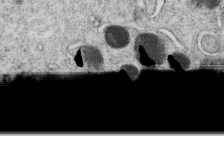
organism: C. elegans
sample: C. elegans oocyte; sperm cells